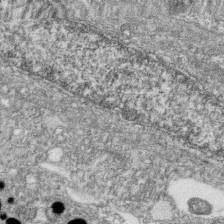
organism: Zebrafish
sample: Cilia; retinal pigment epithelium